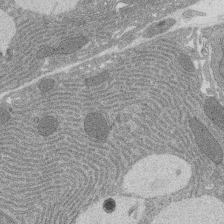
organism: Rat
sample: Salivary granule